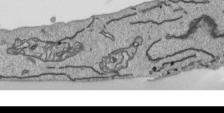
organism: Human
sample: Mitochondria in HCT116 cells